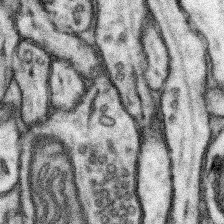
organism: Mouse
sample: Somatosensory cortex neuropil